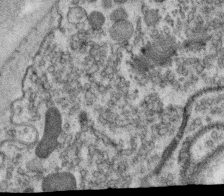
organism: C. elegans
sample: C. elegans oocyte; sperm cells